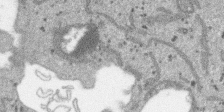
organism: Human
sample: Lung epithelial cells infected with SARS-CoV-2